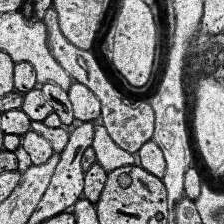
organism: Human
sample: Temporal Lobe